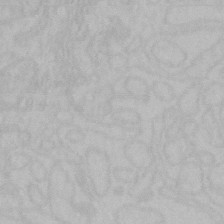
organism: Mouse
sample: Choroid plexus